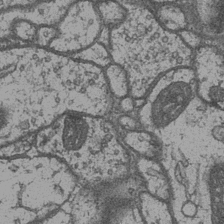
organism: Drosophila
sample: Optic medulla